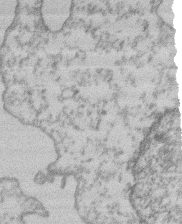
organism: Mouse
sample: T cell stromal cell synapse